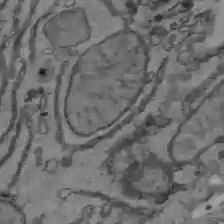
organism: C57BL Mouse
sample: Liver